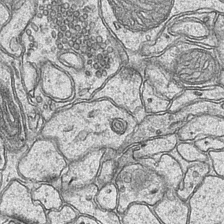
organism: Mouse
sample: CA1 Hippocampus